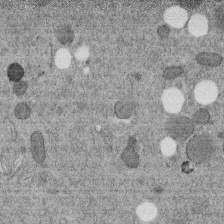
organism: C. elegans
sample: C. elegans embryo early stage